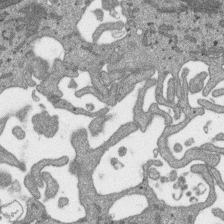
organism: Human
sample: Lung epithelial cells infected with SARS-CoV-2